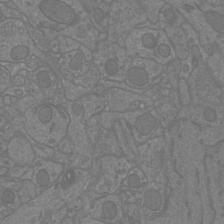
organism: Mouse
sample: Cortical neurons